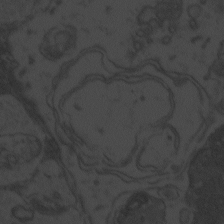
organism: Zebrafish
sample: Macrophage infected with Toxoplasma gondii